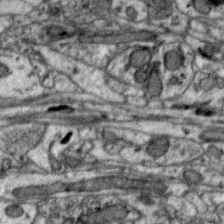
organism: Zebra finch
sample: Brain